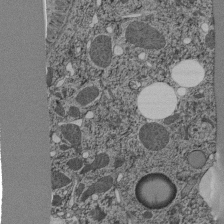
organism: C. elegans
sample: C. elegans pharynx